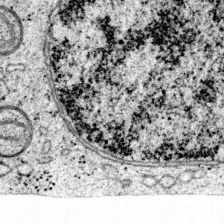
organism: Human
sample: HeLa cells